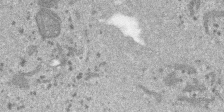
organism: Human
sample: Lung epithelial cells infected with SARS-CoV-2